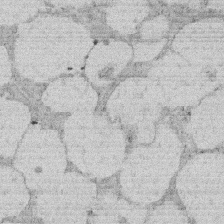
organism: Rat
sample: Salivary granule